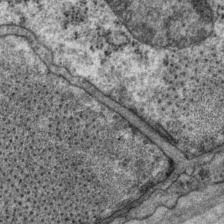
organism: P. pacificus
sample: Pharynx